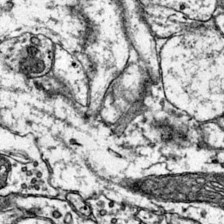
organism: Mouse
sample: Primary visual cortex